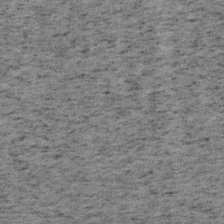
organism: Mouse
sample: OT-I killer T cells with ID8 ovarian cancer cells